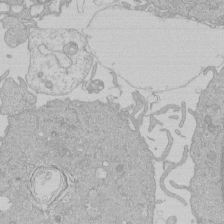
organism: Human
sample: Macrophage cells